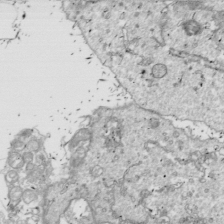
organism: Drosophila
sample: Cell division; meiosis; drosophila spermatocytes